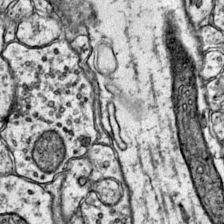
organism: Mouse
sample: Primary visual cortex